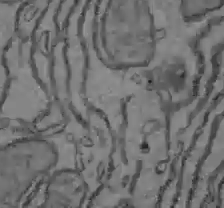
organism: C57BL Mouse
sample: Liver